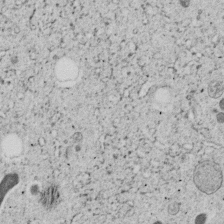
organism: C. elegans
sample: C. elegans embryo early stage